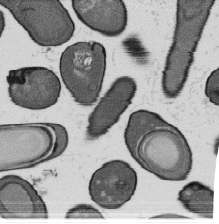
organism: B. subtilis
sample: Bacterial spore